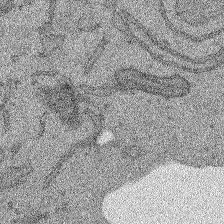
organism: Human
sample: HeLa cells